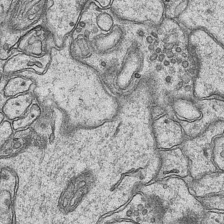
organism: Mouse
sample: CA1 Hippocampus